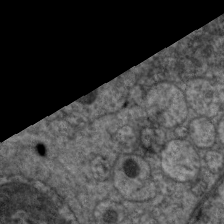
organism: C. elegans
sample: Pharynx